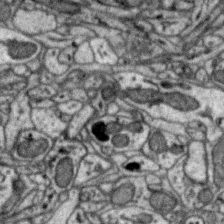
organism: Zebra finch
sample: Brain